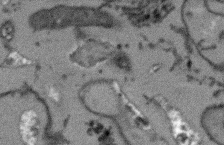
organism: Arabidopsis thaliana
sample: Root tip